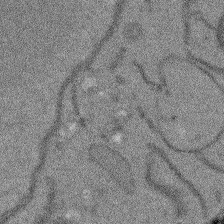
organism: Arabidopsis thaliana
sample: Root tip